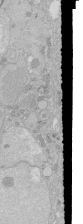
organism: Human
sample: Caco-2 cells